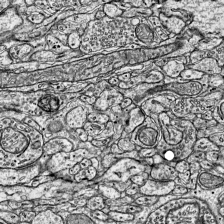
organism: Mouse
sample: Visual Cortex